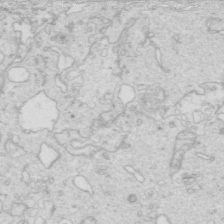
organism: Mouse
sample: Multiciliated cells